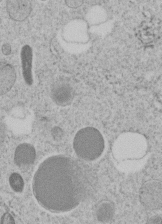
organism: C. elegans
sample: C. elegans embryo early stage